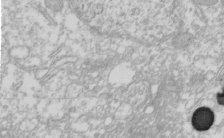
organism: Xenopus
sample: Cilia; centrioles in frog embryo cells